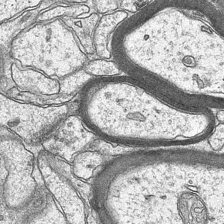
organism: Mouse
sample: CA1 Hippocampus